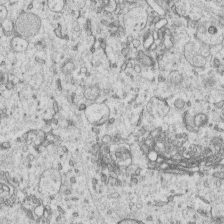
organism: Human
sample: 1205lu cells